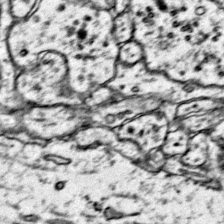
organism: Mouse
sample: Primary visual cortex